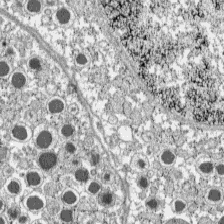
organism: C57BL Mouse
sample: Pancreatic islet